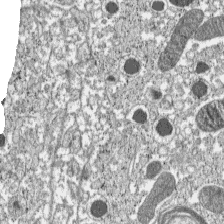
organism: C57BL Mouse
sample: Pancreatic islet